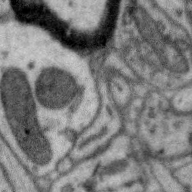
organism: Zebra finch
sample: Brain